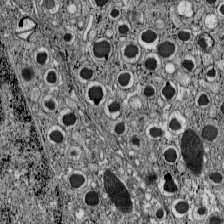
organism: C57BL Mouse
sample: Pancreatic islet